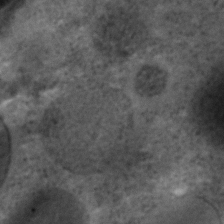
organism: C. elegans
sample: C. elegans embryo